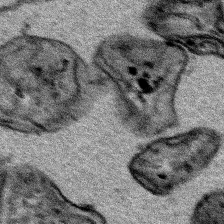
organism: Human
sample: Mitochondria in HCT116 cells